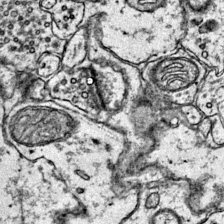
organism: Mouse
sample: Primary visual cortex